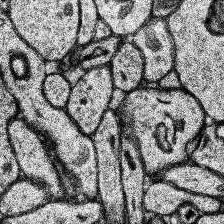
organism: Human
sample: Temporal Lobe